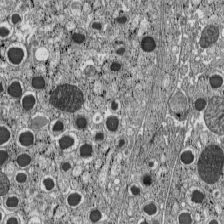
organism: C57BL Mouse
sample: Pancreatic islet